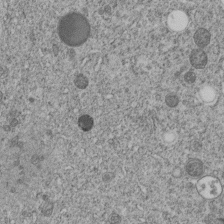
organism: C. elegans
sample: C. elegans embryo early stage